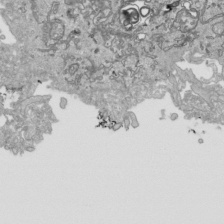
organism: Human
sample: Mitochondria in HCT116 cells